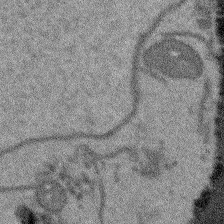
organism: Arabidopsis thaliana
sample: Root tip